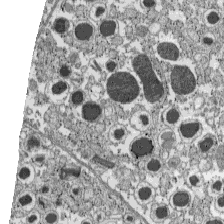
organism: C57BL Mouse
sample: Pancreatic islet